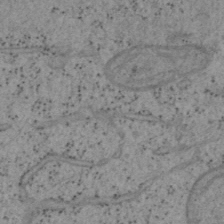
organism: Human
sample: HeLa cells